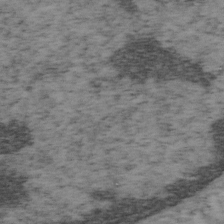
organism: Mouse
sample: OT-I killer T cells with ID8 ovarian cancer cells